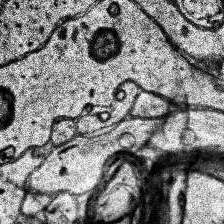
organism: Human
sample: Temporal Lobe